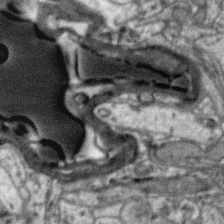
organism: Zebra finch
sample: Brain